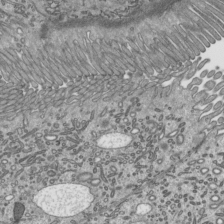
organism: Mouse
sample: Mouse epididymis efferent ductule cilia